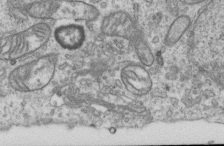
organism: Human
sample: Centriole in RPE cells